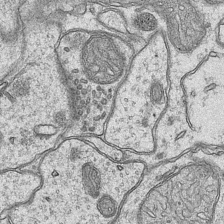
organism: Mouse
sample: CA1 Hippocampus